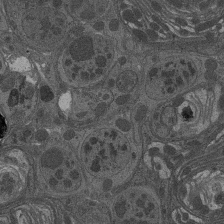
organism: Drosophila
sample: Antenna